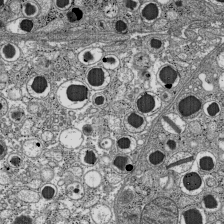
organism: C57BL Mouse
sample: Pancreatic islet